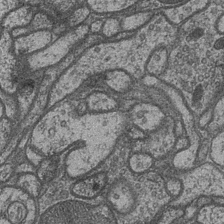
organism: Drosophila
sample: Optic medulla